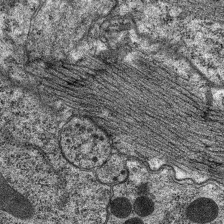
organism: C. elegans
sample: Pharynx